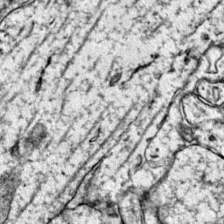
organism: Mouse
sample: Primary visual cortex